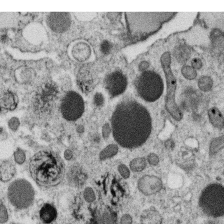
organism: C. elegans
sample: C. elegans oocyte; sperm cells